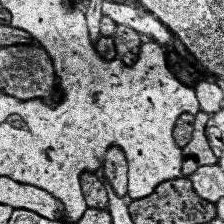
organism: Human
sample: Temporal Lobe